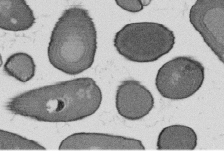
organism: B. subtilis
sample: Bacterial spore